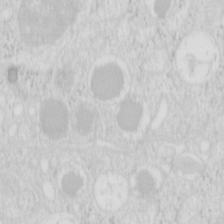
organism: Mouse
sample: Pancreas